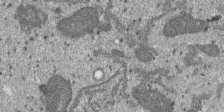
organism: Human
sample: Lung epithelial cells infected with SARS-CoV-2